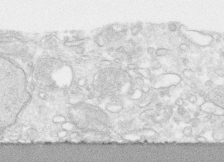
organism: Human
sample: CRL-1474